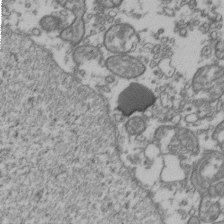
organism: Human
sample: Activated Jurkat CD4+ T cells